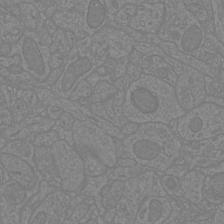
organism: Mouse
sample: Cortical neurons